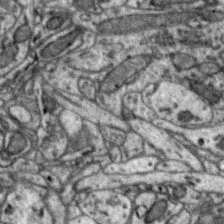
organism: Zebra finch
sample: Brain